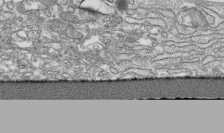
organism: Human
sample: CRL-1474